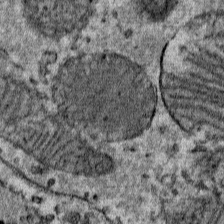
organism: Mouse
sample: Mouse Salivary gland